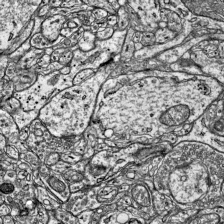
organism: Mouse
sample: Visual Cortex